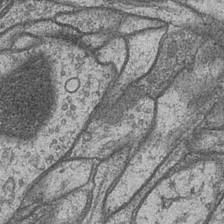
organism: Drosophila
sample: Optic medulla